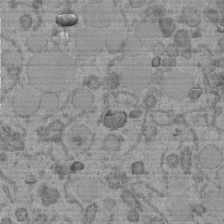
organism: C. elegans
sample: C. elegans embryo early stage